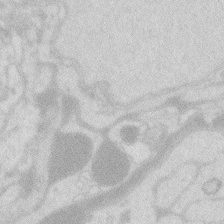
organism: Zebrafish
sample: Macrophage